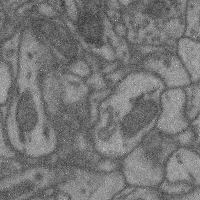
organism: Mouse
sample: Cerebral cortex